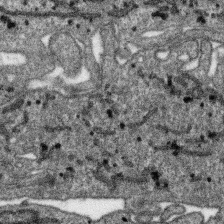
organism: Human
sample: Lung epithelial cells infected with SARS-CoV-2